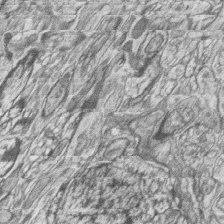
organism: Zebrafish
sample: synaptic ribbons in rod cells and cone cells